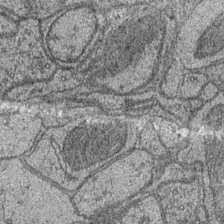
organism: Drosophila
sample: Optic medulla